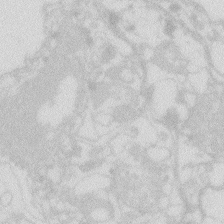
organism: Zebrafish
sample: Macrophage